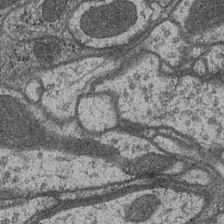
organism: Drosophila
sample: Optic medulla